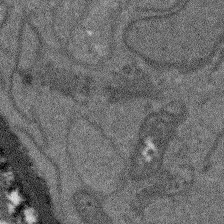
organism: Arabidopsis thaliana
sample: Root tip